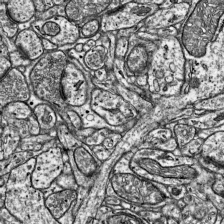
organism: Mouse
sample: Visual Cortex